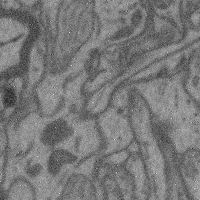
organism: Mouse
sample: Cerebral cortex